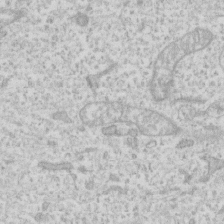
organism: Human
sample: Fibroblast cells